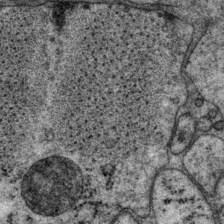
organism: P. pacificus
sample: Pharynx